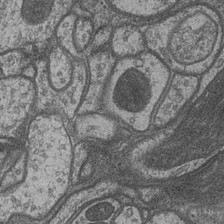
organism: Drosophila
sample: Optic medulla